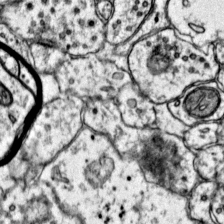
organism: Mouse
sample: Primary visual cortex